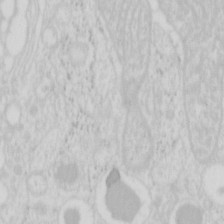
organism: Mouse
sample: Pancreas